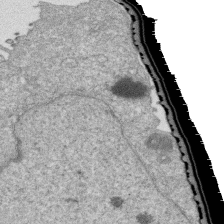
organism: Human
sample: HeLa cell HIV synapse